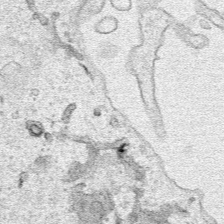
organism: Human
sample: Mitochondria in HCT116 cells